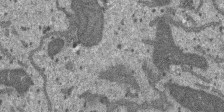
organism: Human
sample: Lung epithelial cells infected with SARS-CoV-2